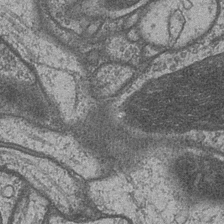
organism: Drosophila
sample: Optic medulla